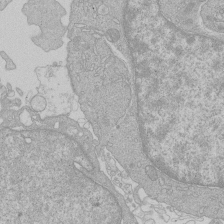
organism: Human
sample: Macrophage cells